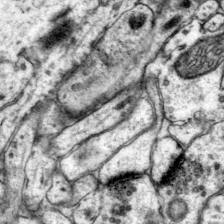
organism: Mouse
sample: Primary visual cortex